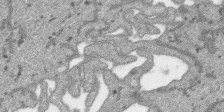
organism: Human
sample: Lung epithelial cells infected with SARS-CoV-2